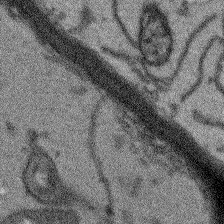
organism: Arabidopsis thaliana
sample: Root tip